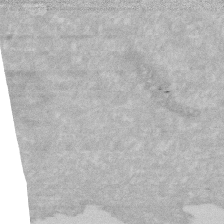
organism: Human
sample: HIV infected U937 cells